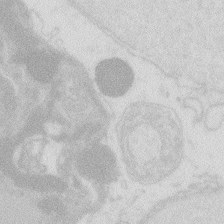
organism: Zebrafish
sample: Macrophage